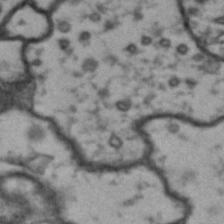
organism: Drosophila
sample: Brain